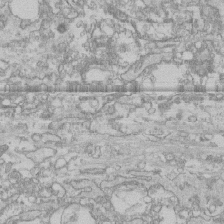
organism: Human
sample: CRL-1474